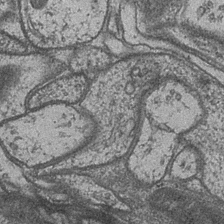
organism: Drosophila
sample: Optic medulla